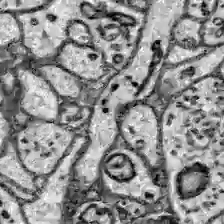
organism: Zebrafish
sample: Brain